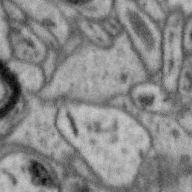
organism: Zebra finch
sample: Brain